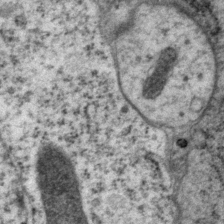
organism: P. pacificus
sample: Pharynx